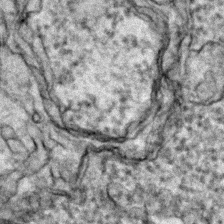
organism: Zebrafish